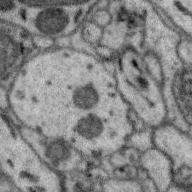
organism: Zebra finch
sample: Brain